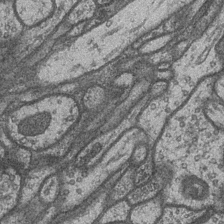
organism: Drosophila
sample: Optic medulla